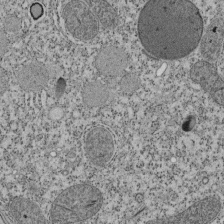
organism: Tetrahymena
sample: Cilia in tetrahymena